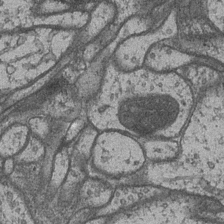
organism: Drosophila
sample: Optic medulla